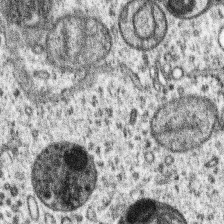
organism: Human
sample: HeLa cells